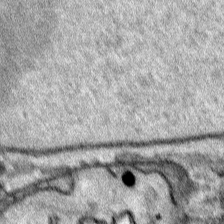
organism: Human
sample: Mitochondria in HCT116 cells